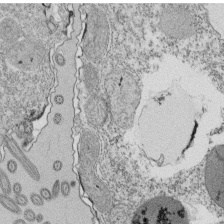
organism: Tetrahymena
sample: Cilia in tetrahymena